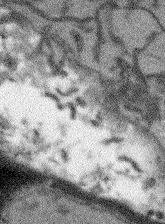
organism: Arabidopsis thaliana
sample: Root tip